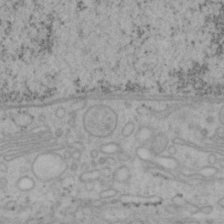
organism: Human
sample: HeLa cells